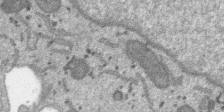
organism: Human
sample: Lung epithelial cells infected with SARS-CoV-2